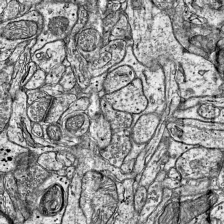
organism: Mouse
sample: Visual Cortex